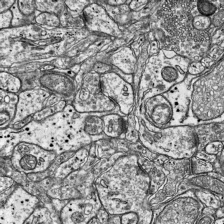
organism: Mouse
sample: Visual Cortex